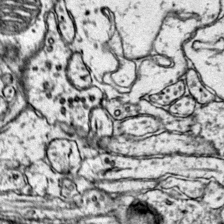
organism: Mouse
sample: Primary visual cortex